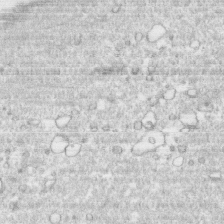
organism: Human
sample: CRL-1474